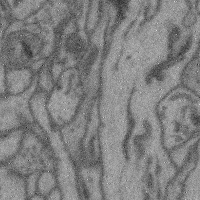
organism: Mouse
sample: Cerebral cortex